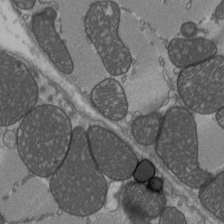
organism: C57BL Mouse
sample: Heart